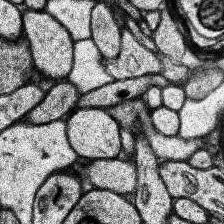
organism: Human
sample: Temporal Lobe